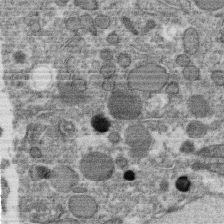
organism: C. elegans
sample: C. elegans oocyte; sperm cells